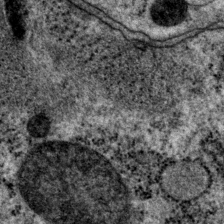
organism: P. pacificus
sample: Pharynx